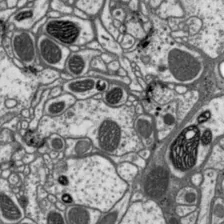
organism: Drosophila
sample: Protocerebral bridge